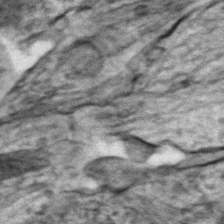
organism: Zebrafish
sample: Zebrafish embryo